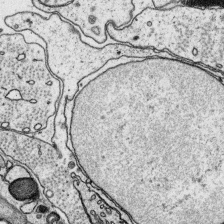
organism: Platynereis dumerilii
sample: Parapodia